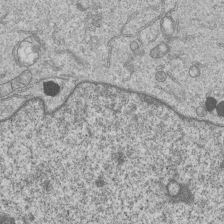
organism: Human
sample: MDA-MB-231 cells